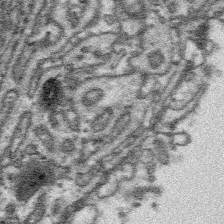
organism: Platynereis dumerilii